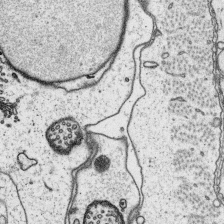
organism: Platynereis dumerilii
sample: Parapodia